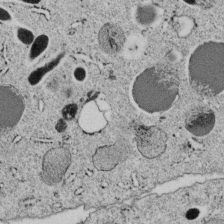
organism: C. elegans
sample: C. elegans embryo early stage